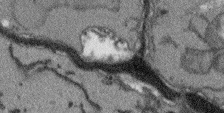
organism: Arabidopsis thaliana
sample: Root tip